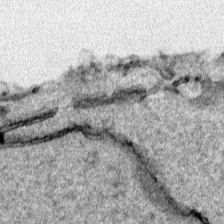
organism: Human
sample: Mitochondria in HCT116 cells